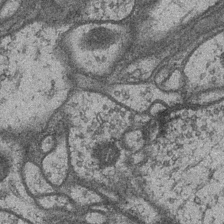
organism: Drosophila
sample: Optic medulla